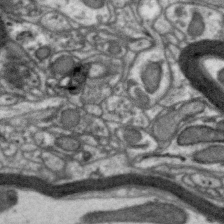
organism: Zebra finch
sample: Brain